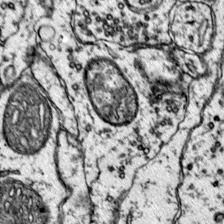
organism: Mouse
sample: Primary visual cortex